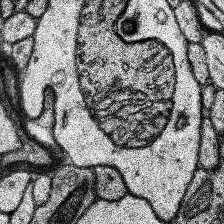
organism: Human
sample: Temporal Lobe